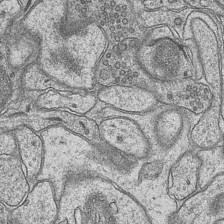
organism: Mouse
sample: CA1 Hippocampus